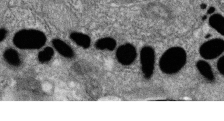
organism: Zebrafish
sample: Cilia; retinal pigment epithelium